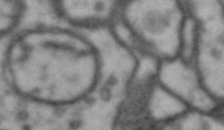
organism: Drosophila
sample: Brain